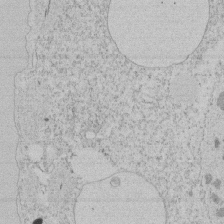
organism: Tetrahymena